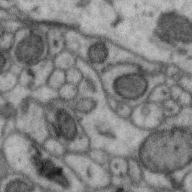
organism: Zebra finch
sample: Brain